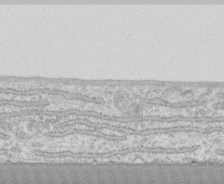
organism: Human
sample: CRL-1474